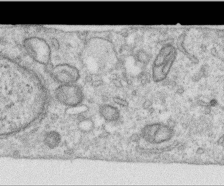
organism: Human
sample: Centriole in RPE cells